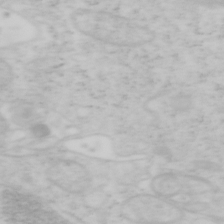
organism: Mouse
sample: OT-I killer T cells with ID8 ovarian cancer cells